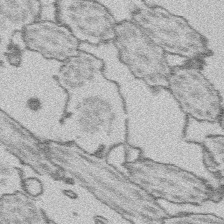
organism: Platynereis dumerilii